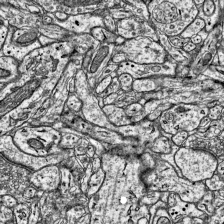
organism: Mouse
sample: Visual Cortex